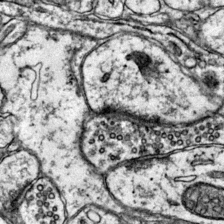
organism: Mouse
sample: Primary visual cortex